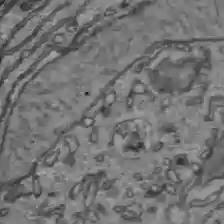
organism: C57BL Mouse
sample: Liver